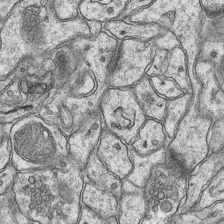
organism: Mouse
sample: CA1 Hippocampus